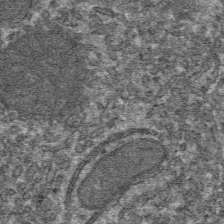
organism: Mouse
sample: Mouse hepatocytes